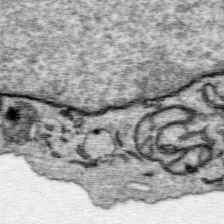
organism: Human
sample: HeLa cells